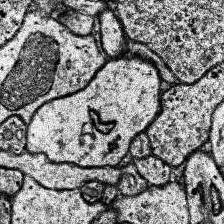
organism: Human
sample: Temporal Lobe